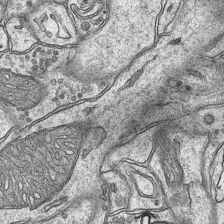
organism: Mouse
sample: CA1 Hippocampus